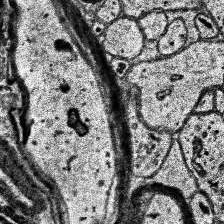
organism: Human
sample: Temporal Lobe